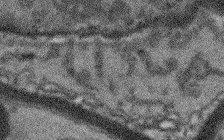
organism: Arabidopsis thaliana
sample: Root tip